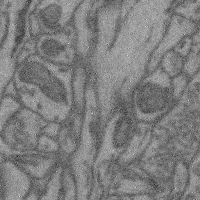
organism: Mouse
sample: Cerebral cortex